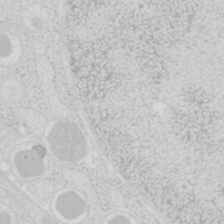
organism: Mouse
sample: Pancreas